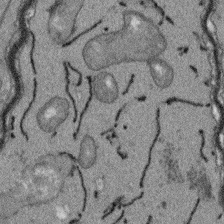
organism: Arabidopsis thaliana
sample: Root tip